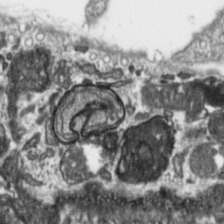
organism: Toxoplasma gondii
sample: Parasites in a vacuole inside a host cell